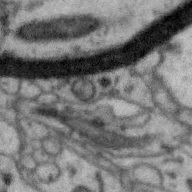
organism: Zebra finch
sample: Brain